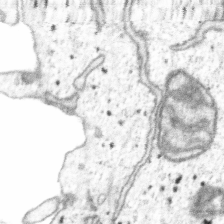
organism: Human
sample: HeLa cells